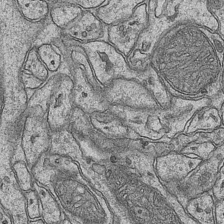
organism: Mouse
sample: CA1 Hippocampus